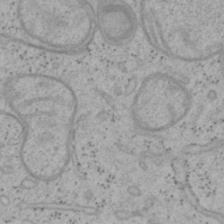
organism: Human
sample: HeLa cells